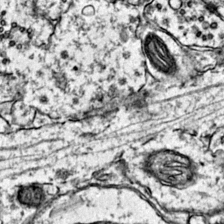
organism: Mouse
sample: Primary visual cortex